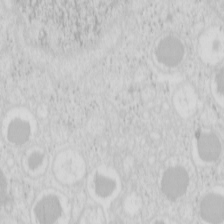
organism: Mouse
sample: Pancreas